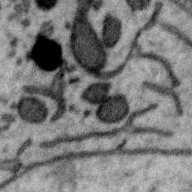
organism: Zebra finch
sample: Brain